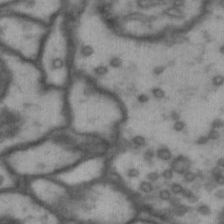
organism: Drosophila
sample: Brain